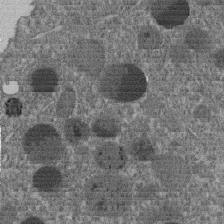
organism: C. elegans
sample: C. elegans embryo early stage